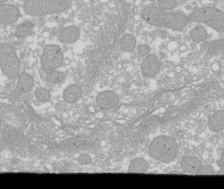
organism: Xenopus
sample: Cilia; centrioles in frog embryo cells